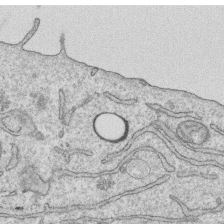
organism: Human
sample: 1205lu cells